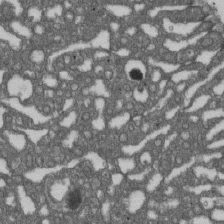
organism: Drosophila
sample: Nephrocyte